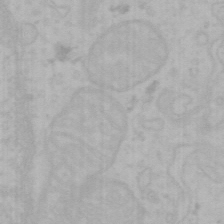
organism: Mouse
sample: Choroid plexus